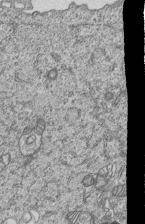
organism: Human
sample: MDA-MB-231 cells